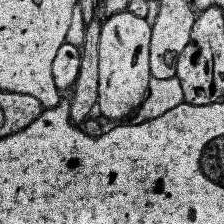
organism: Human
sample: Temporal Lobe